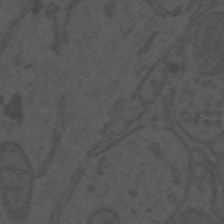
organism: Mouse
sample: Suprachiasmatic nucleus